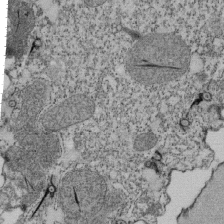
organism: Tetrahymena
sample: Cilia in tetrahymena